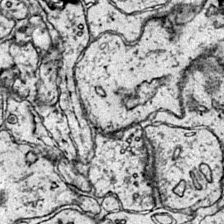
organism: Mouse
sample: Primary visual cortex